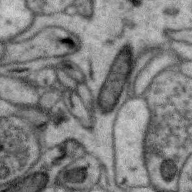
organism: Zebra finch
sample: Brain